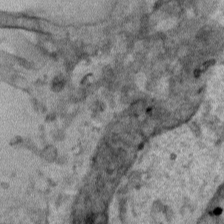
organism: Human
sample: Mitochondria in HCT116 cells